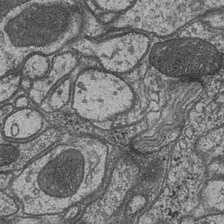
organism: Drosophila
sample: Optic medulla